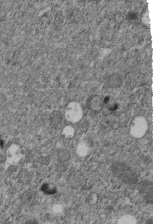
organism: C. elegans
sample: C. elegans embryo early stage